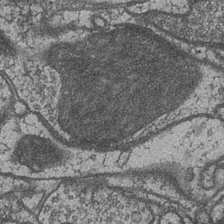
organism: Drosophila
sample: Optic medulla